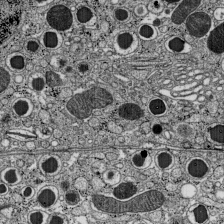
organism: C57BL Mouse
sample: Pancreatic islet